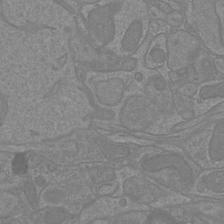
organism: Mouse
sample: Cortical neurons